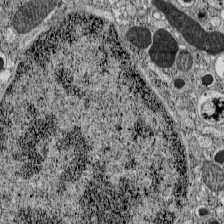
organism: C57BL Mouse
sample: Pancreatic islet